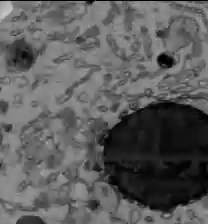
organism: C57BL Mouse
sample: Liver